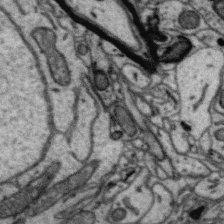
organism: Zebra finch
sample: Brain